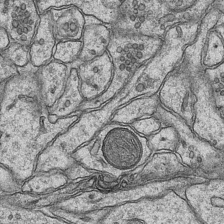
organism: Mouse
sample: CA1 Hippocampus